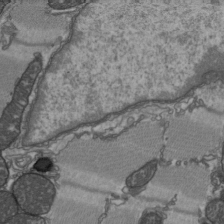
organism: C57BL Mouse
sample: Heart